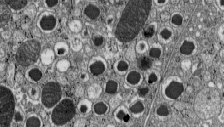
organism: C57BL Mouse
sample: Pancreatic islet